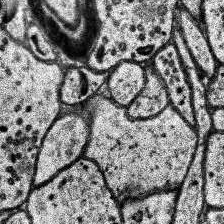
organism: Human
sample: Temporal Lobe